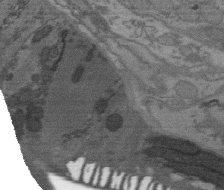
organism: C. elegans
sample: AFD neurons C. elegans